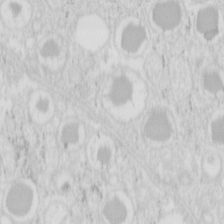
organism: Mouse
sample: Pancreas